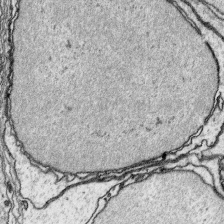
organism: Platynereis dumerilii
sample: Parapodia